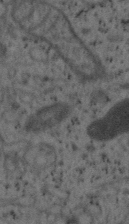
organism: Human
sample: HeLa cells